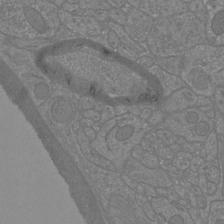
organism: Mouse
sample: Cortical neurons